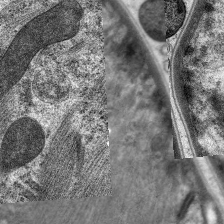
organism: C. elegans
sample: Pharynx